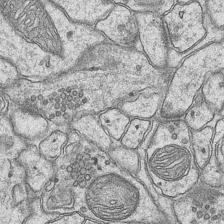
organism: Mouse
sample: CA1 Hippocampus